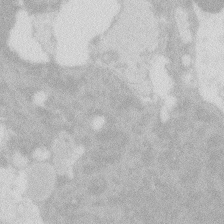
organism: Zebrafish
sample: Macrophage